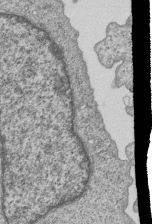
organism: Human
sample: MDA-MB-231 cells